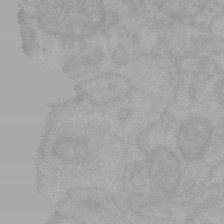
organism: Mouse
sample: Choroid plexus